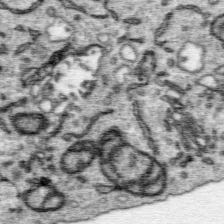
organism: Human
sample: HeLa cells